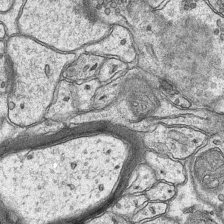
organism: Mouse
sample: CA1 Hippocampus